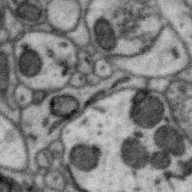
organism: Zebra finch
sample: Brain